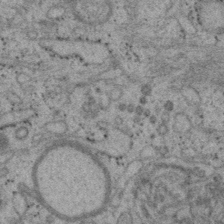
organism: Human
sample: HeLa cells